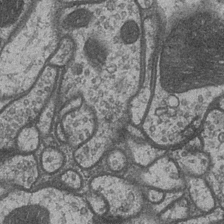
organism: Drosophila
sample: Optic medulla